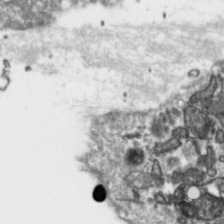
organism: Toxoplasma gondii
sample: Parasites in a vacuole inside a host cell